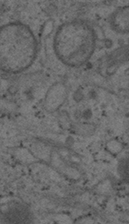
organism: Human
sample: HeLa cells